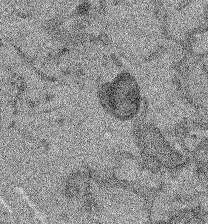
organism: Human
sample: HeLa cells